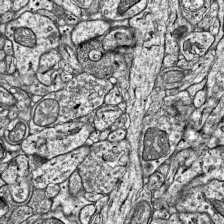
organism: Mouse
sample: Visual Cortex